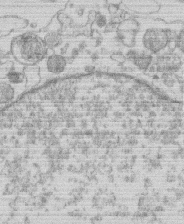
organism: Human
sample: Macrophage cells